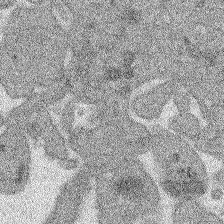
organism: Human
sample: HeLa cells